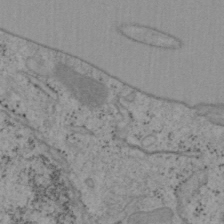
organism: Human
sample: HeLa cells